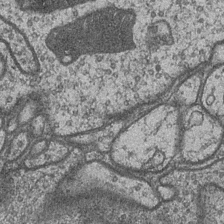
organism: Drosophila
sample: Optic medulla